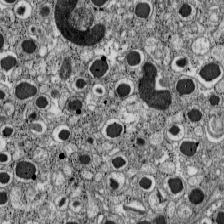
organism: C57BL Mouse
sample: Pancreatic islet